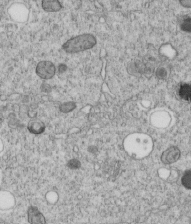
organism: C. elegans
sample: C. elegans embryo early stage